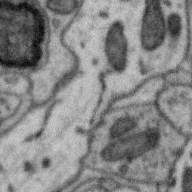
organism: Zebra finch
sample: Brain